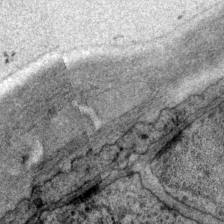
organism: P. pacificus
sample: Pharynx